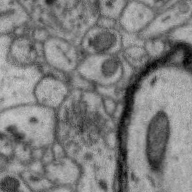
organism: Zebra finch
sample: Brain